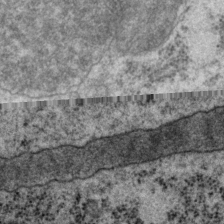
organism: P. pacificus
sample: Pharynx